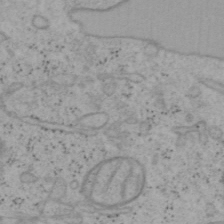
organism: Human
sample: HeLa cells